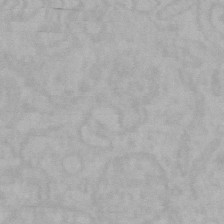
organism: Mouse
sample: Choroid plexus